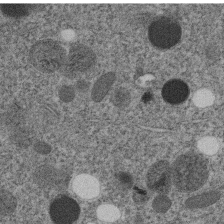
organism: C. elegans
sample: C. elegans embryo early stage